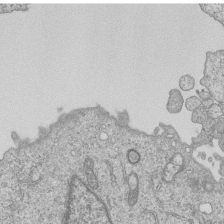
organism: Human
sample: MDA-MB-231 cells